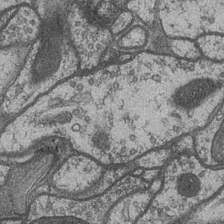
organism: Drosophila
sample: Optic medulla